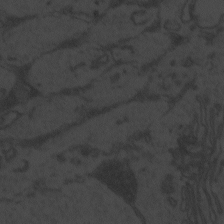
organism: Zebrafish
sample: Macrophage infected with Toxoplasma gondii